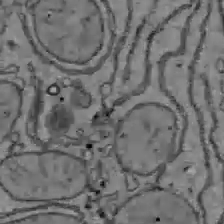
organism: C57BL Mouse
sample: Liver